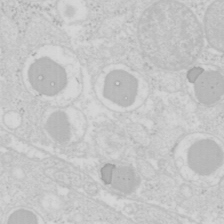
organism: Mouse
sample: Pancreas